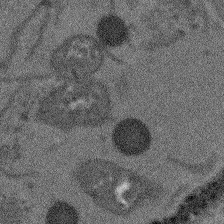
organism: Arabidopsis thaliana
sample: Root tip